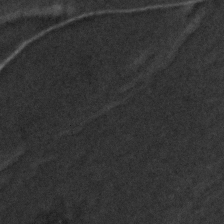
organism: Zebrafish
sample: Zebrafish embryo